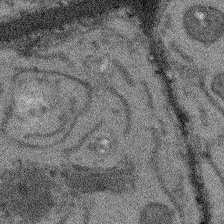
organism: Arabidopsis thaliana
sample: Root tip